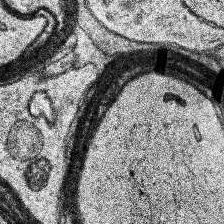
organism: Human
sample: Temporal Lobe